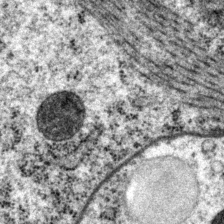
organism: P. pacificus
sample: Pharynx